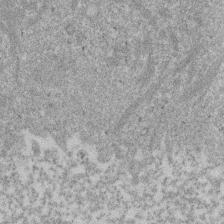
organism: Mouse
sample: Dividing mouse embryo 1 cell stage